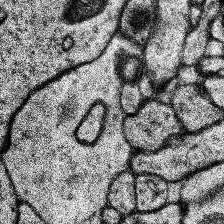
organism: Human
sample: Temporal Lobe